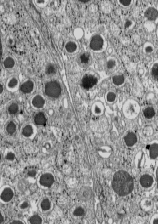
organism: C57BL Mouse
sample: Pancreatic islet